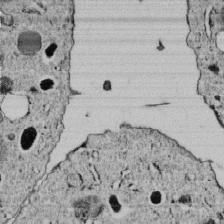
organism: C. elegans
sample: C. elegans embryo early stage